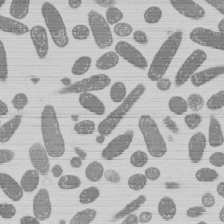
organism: E. coli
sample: Bacterial nucleoid